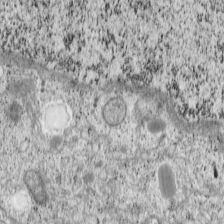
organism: African green monkey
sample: COS-7 cells